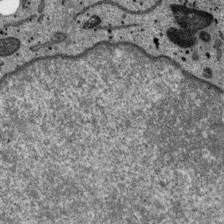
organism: Human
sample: Lung epithelial cells, uninfected (mock) control